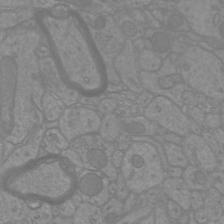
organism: Mouse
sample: Cortical neurons